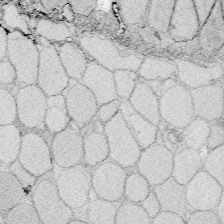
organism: Zebrafish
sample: Whole-Brain